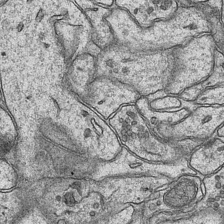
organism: Mouse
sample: CA1 Hippocampus